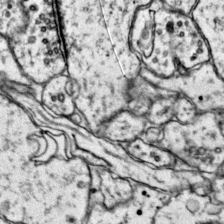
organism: Mouse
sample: Primary visual cortex